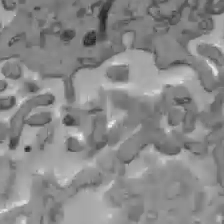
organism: C57BL Mouse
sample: Liver